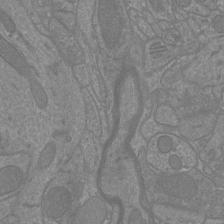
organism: Mouse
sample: Cortical neurons